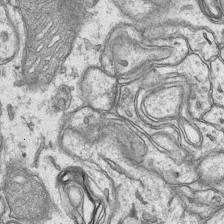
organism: Mouse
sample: CA1 Hippocampus